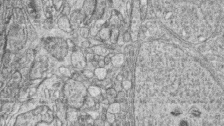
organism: Zebrafish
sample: synaptic ribbons in rod cells and cone cells